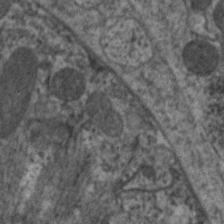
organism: C. elegans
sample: Pharynx